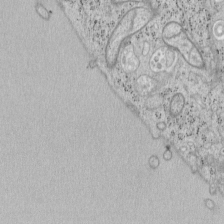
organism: Mouse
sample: OT-I killer T cells with ID8 ovarian cancer cells